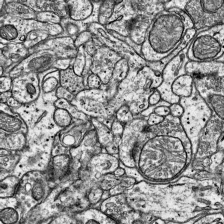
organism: Mouse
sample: Visual Cortex